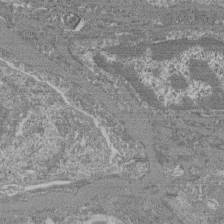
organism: Mouse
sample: Glomerulus